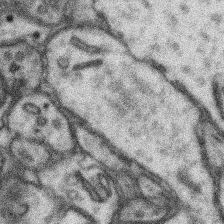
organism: Mouse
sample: Somatosensory cortex neuropil